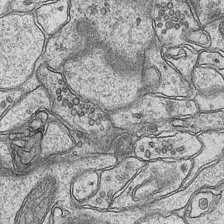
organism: Mouse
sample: CA1 Hippocampus